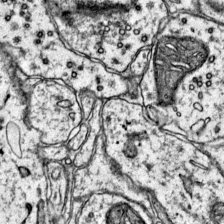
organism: Mouse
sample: Primary visual cortex